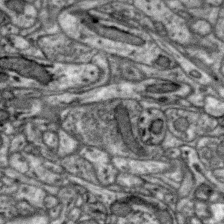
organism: Zebra finch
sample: Brain